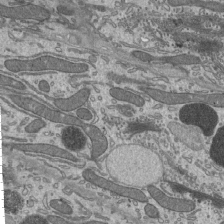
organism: Mouse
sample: Mouse epididymis efferent ductule cilia